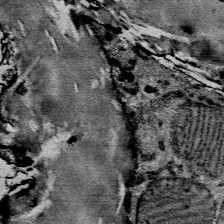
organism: Mouse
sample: Mouse Salivary gland